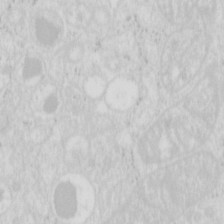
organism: Mouse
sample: Pancreas